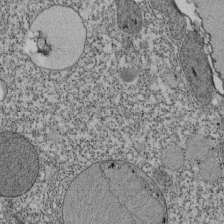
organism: Tetrahymena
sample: Cilia in tetrahymena